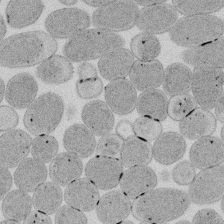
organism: E. coli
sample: Bacterial nucleoid